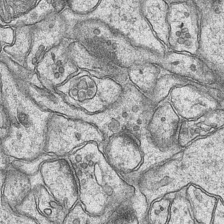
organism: Mouse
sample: CA1 Hippocampus